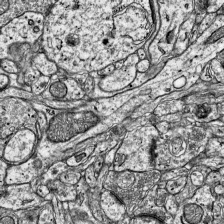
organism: Mouse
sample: Visual Cortex